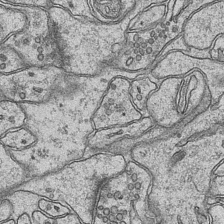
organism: Mouse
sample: CA1 Hippocampus